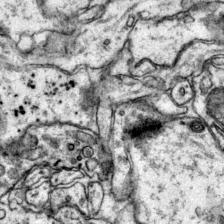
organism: Mouse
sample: Primary visual cortex